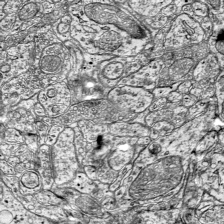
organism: Mouse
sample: Visual Cortex